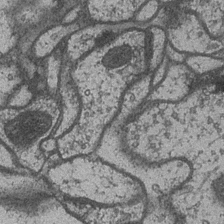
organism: Drosophila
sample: Optic medulla